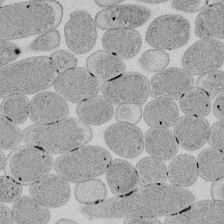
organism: E. coli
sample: Bacterial nucleoid